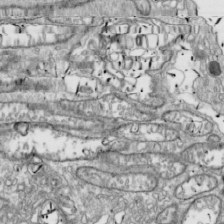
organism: Drosophila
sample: Cell division; meiosis; drosophila spermatocytes